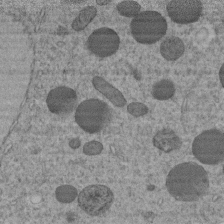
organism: C. elegans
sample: C. elegans embryo early stage